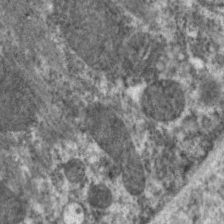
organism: C. elegans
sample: Pharynx